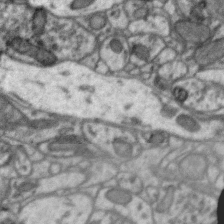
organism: Zebra finch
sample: Brain